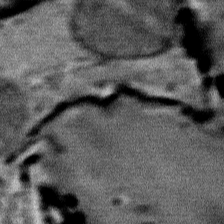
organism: Mouse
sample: Mouse Salivary gland